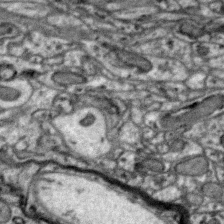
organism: Zebra finch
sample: Brain